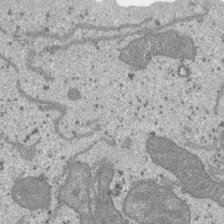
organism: Human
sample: Lung epithelial cells infected with SARS-CoV-2